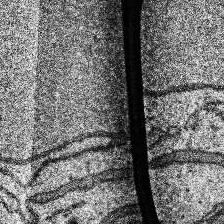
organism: Human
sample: Temporal Lobe